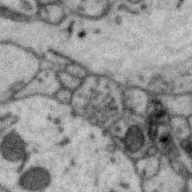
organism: Zebra finch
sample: Brain